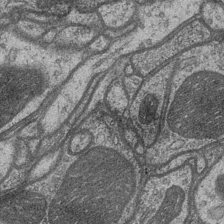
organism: Drosophila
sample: Optic medulla